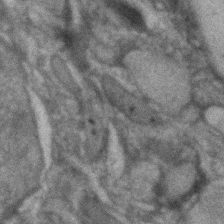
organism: Human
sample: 1205lu cells